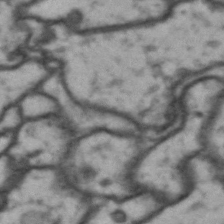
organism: Drosophila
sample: Brain